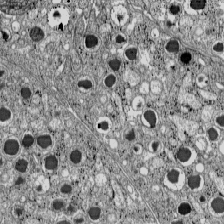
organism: C57BL Mouse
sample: Pancreatic islet